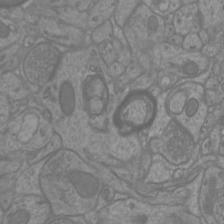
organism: Mouse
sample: Cortical neurons